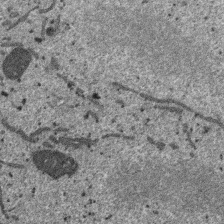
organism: Human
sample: Lung epithelial cells infected with SARS-CoV-2